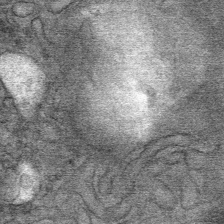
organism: Mouse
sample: Mouse Salivary gland